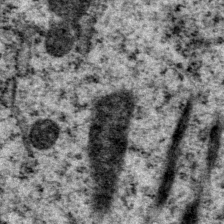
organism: P. pacificus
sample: Pharynx